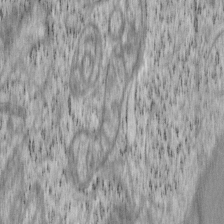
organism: Human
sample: HeLa cells